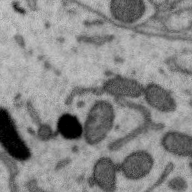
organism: Zebra finch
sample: Brain